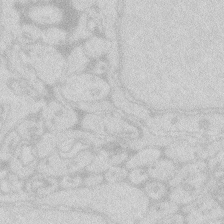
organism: Zebrafish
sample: Macrophage